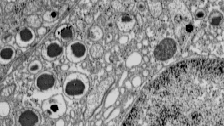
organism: C57BL Mouse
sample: Pancreatic islet